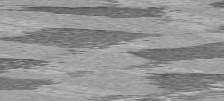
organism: C57BL Mouse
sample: Heart